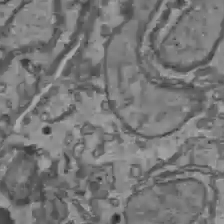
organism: C57BL Mouse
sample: Liver